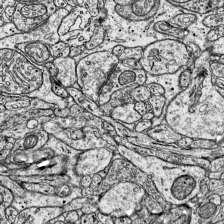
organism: Mouse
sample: Visual Cortex